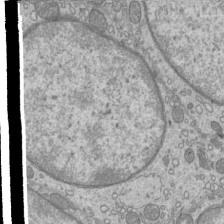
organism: Mouse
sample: Cilia; mouse epididymis